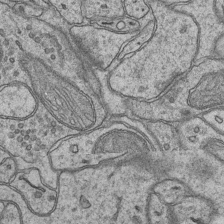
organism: Mouse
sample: CA1 Hippocampus